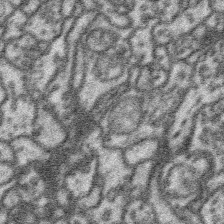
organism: Platynereis dumerilii